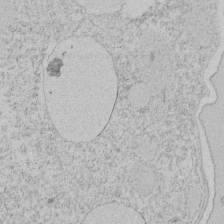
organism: Tetrahymena